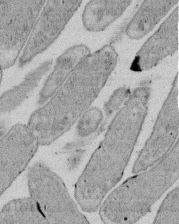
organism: E. coli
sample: Bacterial nucleoid